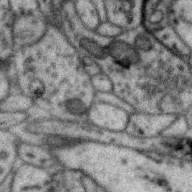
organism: Zebra finch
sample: Brain